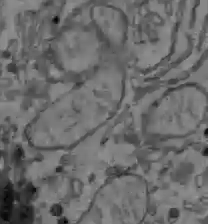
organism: C57BL Mouse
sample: Liver